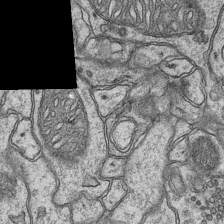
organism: Mouse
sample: CA1 Hippocampus